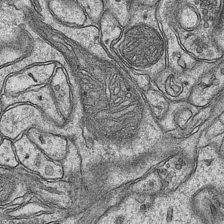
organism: Mouse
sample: CA1 Hippocampus